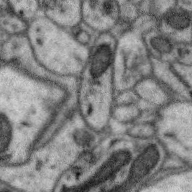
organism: Zebra finch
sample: Brain